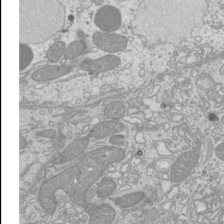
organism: Mouse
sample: Cilia; mouse epididymis